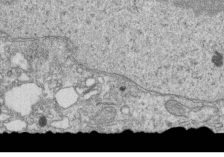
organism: Human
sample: HeLa cell HIV synapse